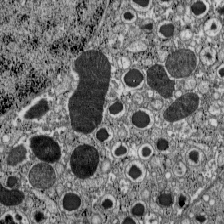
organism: C57BL Mouse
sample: Pancreatic islet